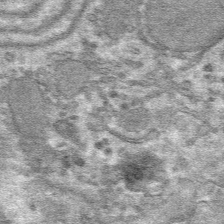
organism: Mouse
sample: Mouse hepatocytes